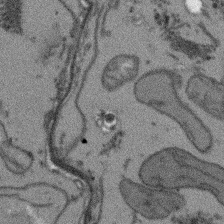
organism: Arabidopsis thaliana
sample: Root tip